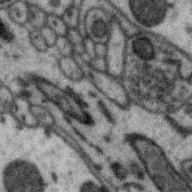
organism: Zebra finch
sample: Brain